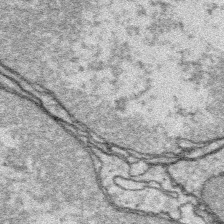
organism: Platynereis dumerilii